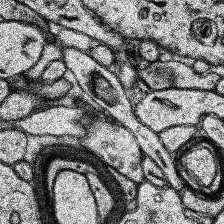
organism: Human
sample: Temporal Lobe